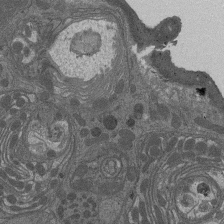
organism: Drosophila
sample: Antenna